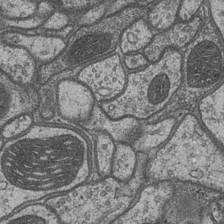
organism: Drosophila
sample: Optic medulla